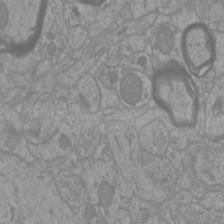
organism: Mouse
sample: Cortical neurons